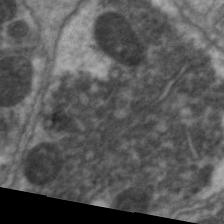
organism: C. elegans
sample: Pharynx